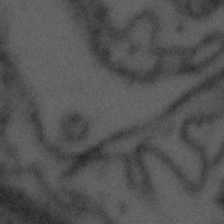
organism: Tuwongella immobilis